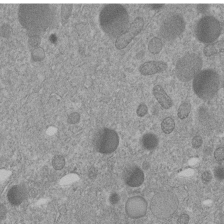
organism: C. elegans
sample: C. elegans embryo early stage